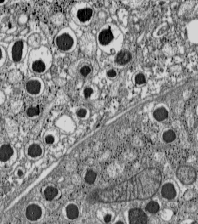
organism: C57BL Mouse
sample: Pancreatic islet